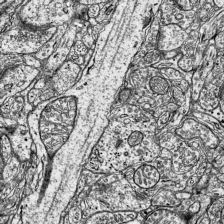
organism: Mouse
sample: Visual Cortex